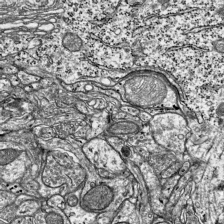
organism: Mouse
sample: Visual Cortex